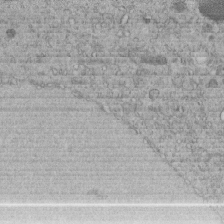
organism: C. elegans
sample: C. elegans embryo early stage